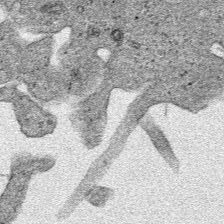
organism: Human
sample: Mitochondria in HCT116 cells